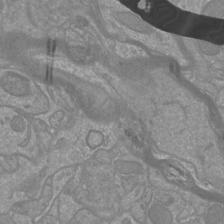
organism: Mouse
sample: Cortical neurons